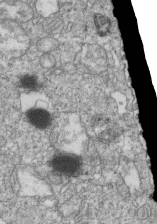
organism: Human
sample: HeLa cell HIV synapse